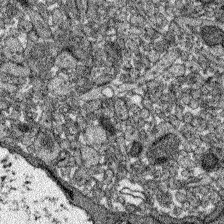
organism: Zebrafish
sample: Larval olfactory bulb